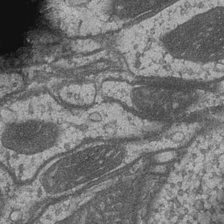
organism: Drosophila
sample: Optic medulla